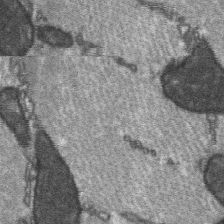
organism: C57BL Mouse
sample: Soleus